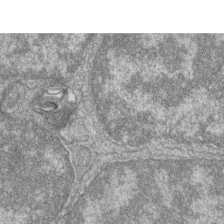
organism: Zebrafish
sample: Cilia; retinal pigment epithelium